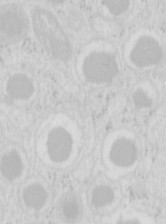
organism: Mouse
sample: Pancreas